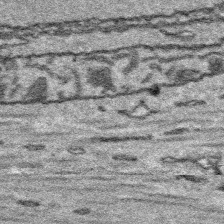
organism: Platynereis dumerilii